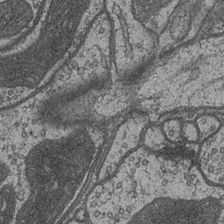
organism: Drosophila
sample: Optic medulla